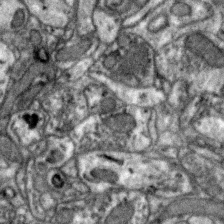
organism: Zebra finch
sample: Brain